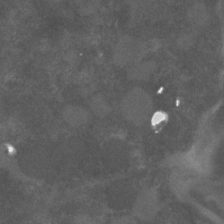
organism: C. elegans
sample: C. elegans embryo